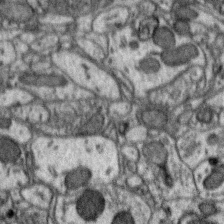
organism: Zebra finch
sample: Brain